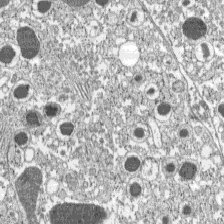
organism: C57BL Mouse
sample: Pancreatic islet